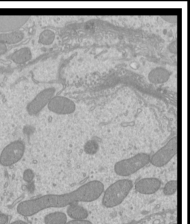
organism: Mouse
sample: Cilia; mouse epididymis